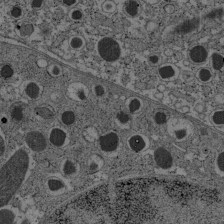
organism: C57BL Mouse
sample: Pancreatic islet